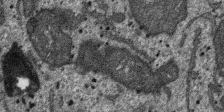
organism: Human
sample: Lung epithelial cells infected with SARS-CoV-2